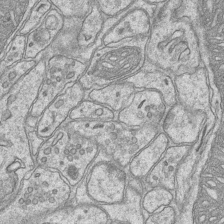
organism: Mouse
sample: CA1 Hippocampus